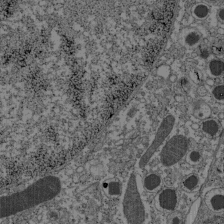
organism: C57BL Mouse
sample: Pancreatic islet